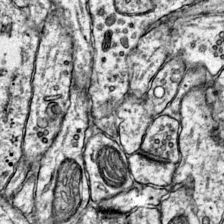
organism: Mouse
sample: Primary visual cortex